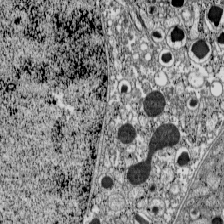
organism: C57BL Mouse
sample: Pancreatic islet